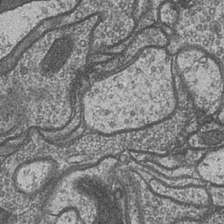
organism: Drosophila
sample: Optic medulla